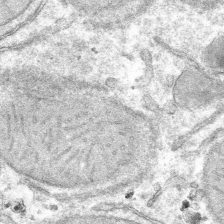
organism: Mouse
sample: Mouse hepatocytes